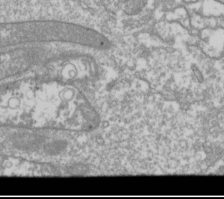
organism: Drosophila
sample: Cell division; meiosis; drosophila spermatocytes